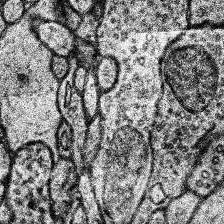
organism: Human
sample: Temporal Lobe